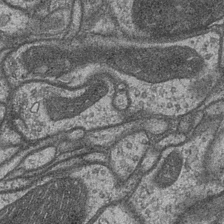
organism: Drosophila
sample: Optic medulla